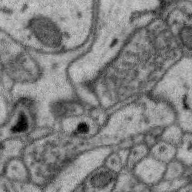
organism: Zebra finch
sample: Brain